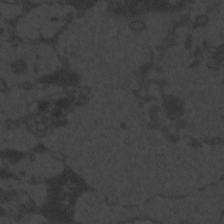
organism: Zebrafish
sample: Macrophage infected with Toxoplasma gondii